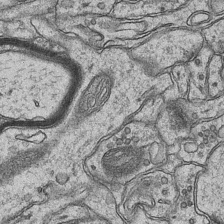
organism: Mouse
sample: CA1 Hippocampus